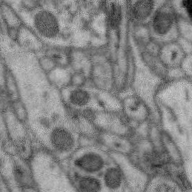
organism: Zebra finch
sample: Brain